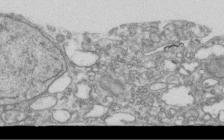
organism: Human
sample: Centriole in RPE cells